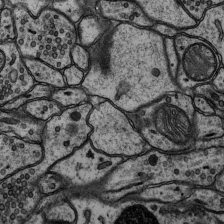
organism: Rat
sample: Hippocampus